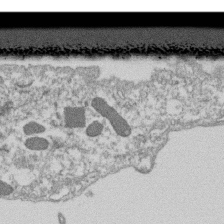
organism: Dictyostelium discoideum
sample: Dictyostelium multivesicular bodies